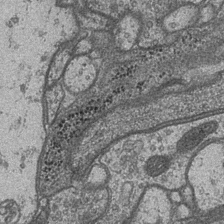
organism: Drosophila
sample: Optic medulla